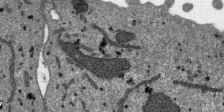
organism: Human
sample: Lung epithelial cells, uninfected (mock) control